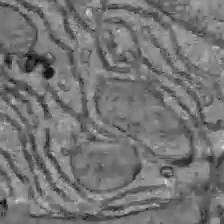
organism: C57BL Mouse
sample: Liver